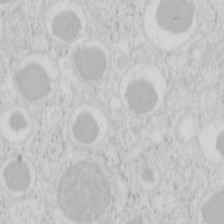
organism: Mouse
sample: Pancreas